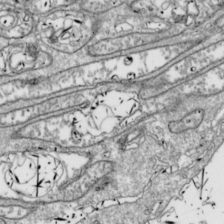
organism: Drosophila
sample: Cell division; meiosis; drosophila spermatocytes